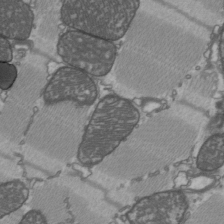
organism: C57BL Mouse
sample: Heart